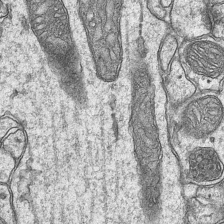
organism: Mouse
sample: CA1 Hippocampus